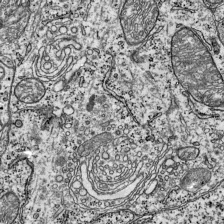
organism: Mouse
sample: Visual Cortex